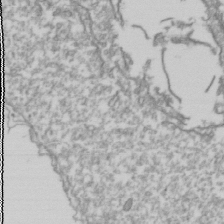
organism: Drosophila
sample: Cell division; meiosis; drosophila spermatocytes